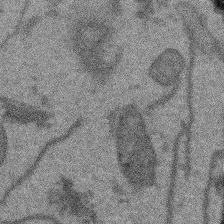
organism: Arabidopsis thaliana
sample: Root tip